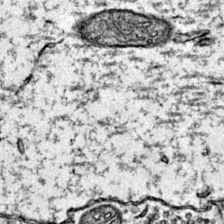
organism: Mouse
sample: Primary visual cortex